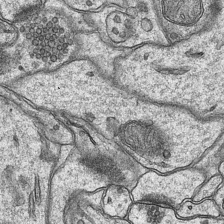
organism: Mouse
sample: CA1 Hippocampus